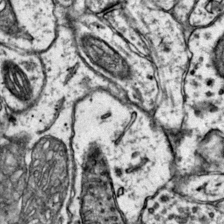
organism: Mouse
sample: Primary visual cortex